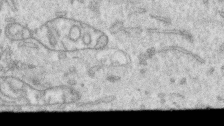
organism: Human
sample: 1205lu cells